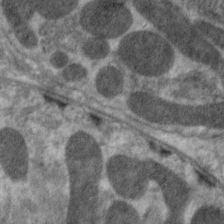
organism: C. elegans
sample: Pharynx